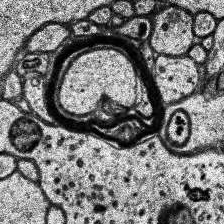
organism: Human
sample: Temporal Lobe